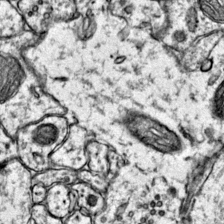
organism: Mouse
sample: Primary visual cortex